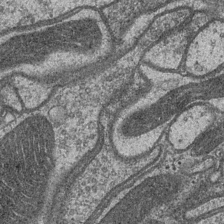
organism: Drosophila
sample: Optic medulla